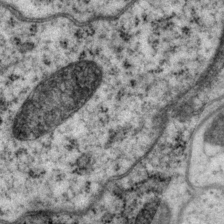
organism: P. pacificus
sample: Pharynx